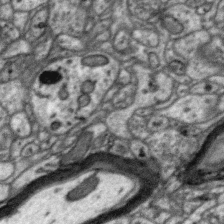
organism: Zebra finch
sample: Brain